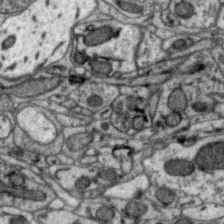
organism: Zebra finch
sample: Brain